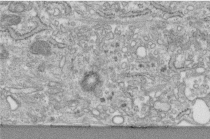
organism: Human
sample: Centriole in fibroblast cells